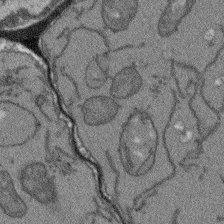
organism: Arabidopsis thaliana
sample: Root tip